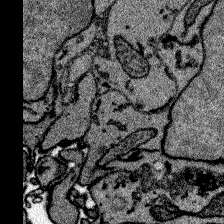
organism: Zebrafish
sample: Larval olfactory bulb